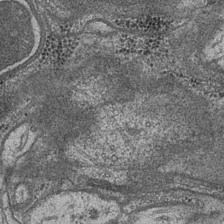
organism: Drosophila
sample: Optic medulla